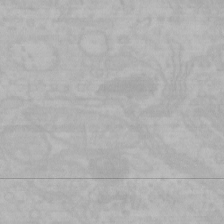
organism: Mouse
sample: Choroid plexus